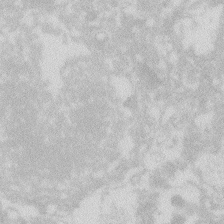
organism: Zebrafish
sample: Macrophage